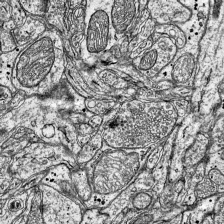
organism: Mouse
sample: Visual Cortex